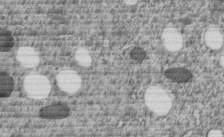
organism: C. elegans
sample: C. elegans embryo early stage